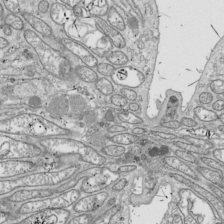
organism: Drosophila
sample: Cell division; meiosis; drosophila spermatocytes